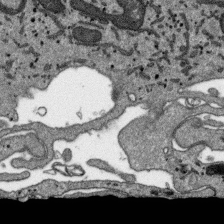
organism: Human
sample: Lung epithelial cells, uninfected (mock) control